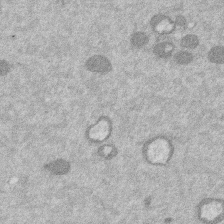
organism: Mouse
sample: Dividing mouse embryo 1 cell stage